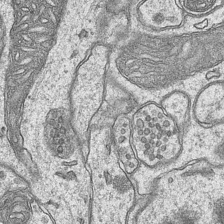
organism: Mouse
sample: CA1 Hippocampus